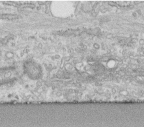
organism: Human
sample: Centriole in fibroblast cells